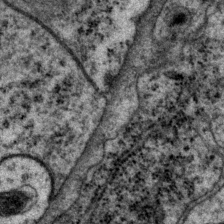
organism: P. pacificus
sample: Pharynx